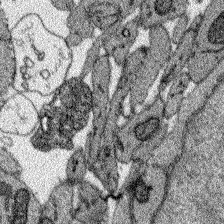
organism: Zebrafish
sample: Larval olfactory bulb